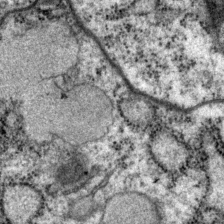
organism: P. pacificus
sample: Pharynx